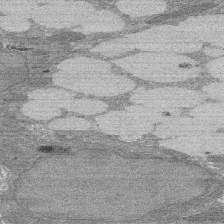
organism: Rat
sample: Salivary granule